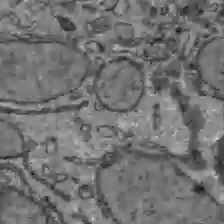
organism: C57BL Mouse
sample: Liver